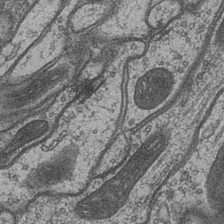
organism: Drosophila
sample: Optic medulla